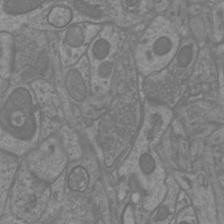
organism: Mouse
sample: Cortical neurons